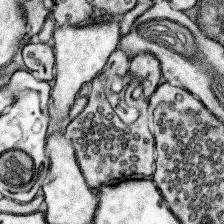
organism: Mouse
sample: Somatosensory cortex neuropil